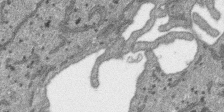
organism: Human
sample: Lung epithelial cells infected with SARS-CoV-2